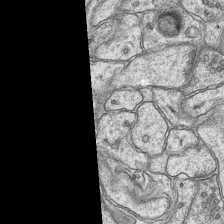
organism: Mouse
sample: CA1 Hippocampus